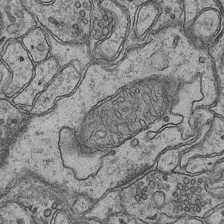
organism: Mouse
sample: CA1 Hippocampus